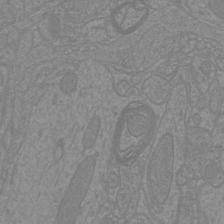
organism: Mouse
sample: Cortical neurons